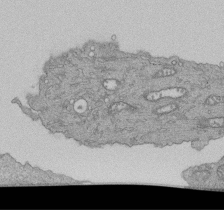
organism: Human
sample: Retinal organoid Rod and Cone cells